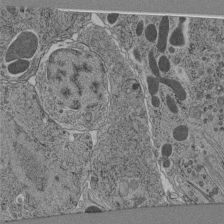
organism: C. elegans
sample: C. elegans pharynx